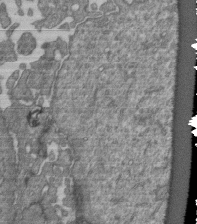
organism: Human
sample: Retinal organoid Rod and Cone cells